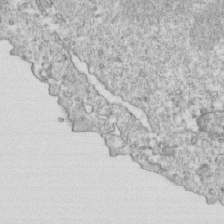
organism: Mouse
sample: Activated OT-1 CD8+ T cells